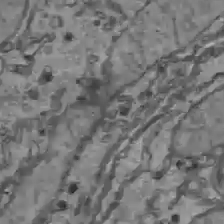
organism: C57BL Mouse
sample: Liver